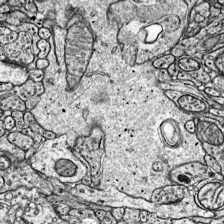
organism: Mouse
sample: Visual Cortex